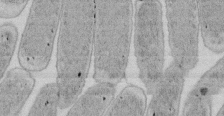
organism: E. coli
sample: Bacterial nucleoid